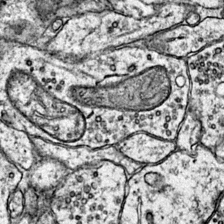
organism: Mouse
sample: Primary visual cortex